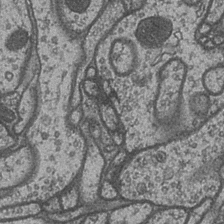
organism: Drosophila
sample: Optic medulla